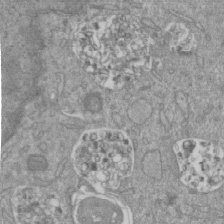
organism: Mouse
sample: ED-1 cell nuclei; centrioles